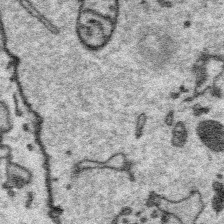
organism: Platynereis dumerilii